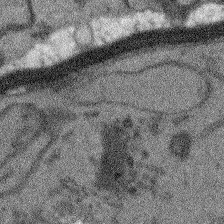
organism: Arabidopsis thaliana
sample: Root tip